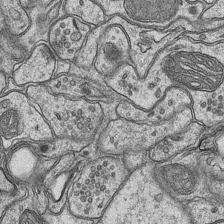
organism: Mouse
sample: CA1 Hippocampus